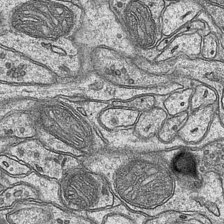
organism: Mouse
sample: CA1 Hippocampus